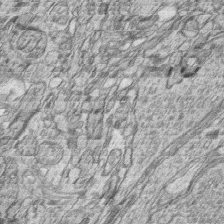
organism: Zebrafish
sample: synaptic ribbons in rod cells and cone cells